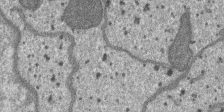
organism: Human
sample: Lung epithelial cells infected with SARS-CoV-2